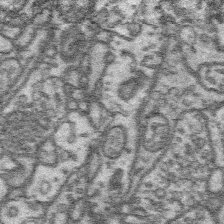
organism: Platynereis dumerilii